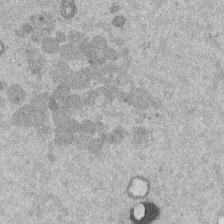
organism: Mouse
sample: Dividing mouse embryo 1 cell stage